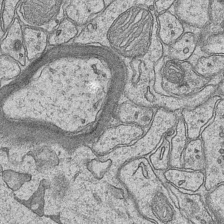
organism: Mouse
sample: CA1 Hippocampus